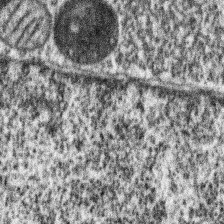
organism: Human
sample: HeLa cells